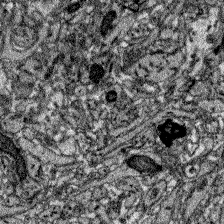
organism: Zebrafish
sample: Larval olfactory bulb